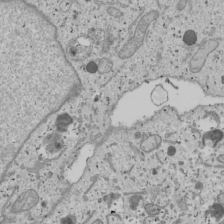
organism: Human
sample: Mitochondria in U2OS cells